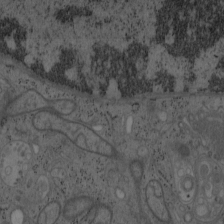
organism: Mouse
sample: OT-I killer T cells with ID8 ovarian cancer cells